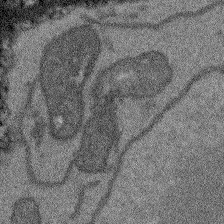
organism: Arabidopsis thaliana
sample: Root tip